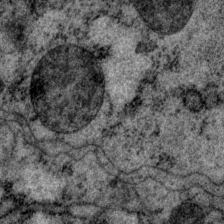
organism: P. pacificus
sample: Pharynx